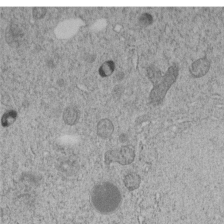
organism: C. elegans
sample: C. elegans embryo early stage